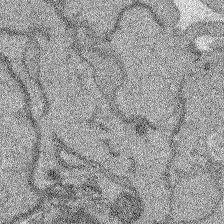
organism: Human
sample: HeLa cells